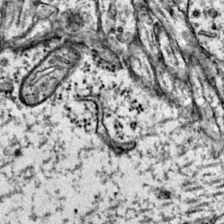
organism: Mouse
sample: Primary visual cortex